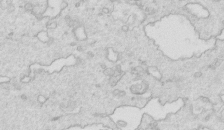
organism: Mouse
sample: Multiciliated cells